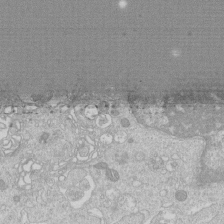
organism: Human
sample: Macrophage cells